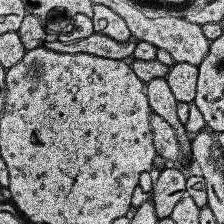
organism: Human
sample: Temporal Lobe